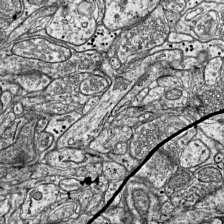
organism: Mouse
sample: Visual Cortex